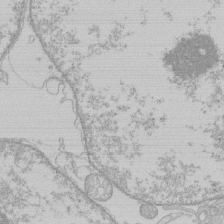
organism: Human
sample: Macrophage cells